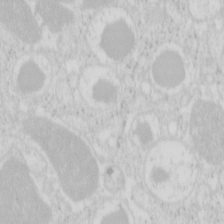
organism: Mouse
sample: Pancreas